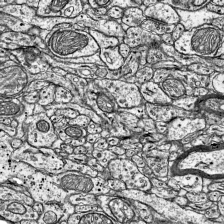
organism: Mouse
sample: Visual Cortex